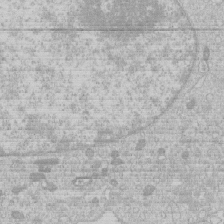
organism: Human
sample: Macrophage cells